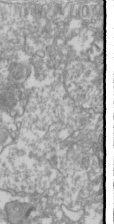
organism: Drosophila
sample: Cell division; meiosis; drosophila spermatocytes